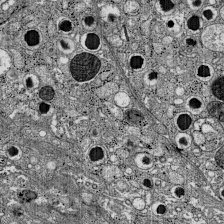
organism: C57BL Mouse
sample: Pancreatic islet